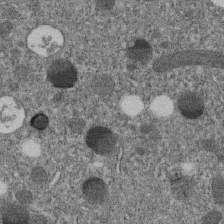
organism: C. elegans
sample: C. elegans embryo early stage